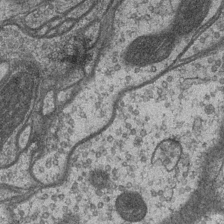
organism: Drosophila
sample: Optic medulla